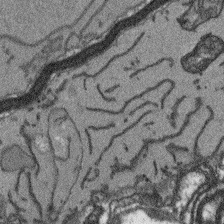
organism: Arabidopsis thaliana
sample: Root tip